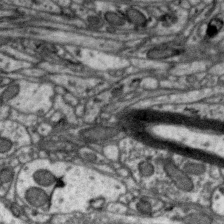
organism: Zebra finch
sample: Brain